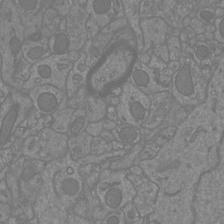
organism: Mouse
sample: Cortical neurons